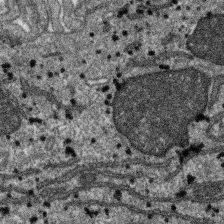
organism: Human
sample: Lung epithelial cells infected with SARS-CoV-2